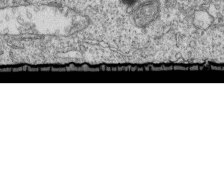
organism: Human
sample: HeLa cell HIV synapse